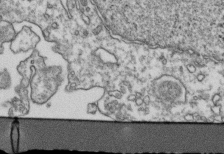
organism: Human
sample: Activated Jurkat CD4+ T cells